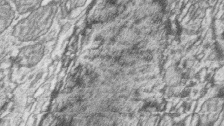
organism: Zebrafish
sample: synaptic ribbons in rod cells and cone cells